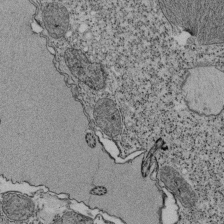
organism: Tetrahymena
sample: Cilia in tetrahymena